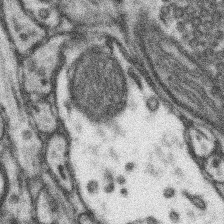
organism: Mouse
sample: Somatosensory cortex neuropil